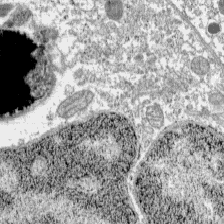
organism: C57BL Mouse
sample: Pancreatic islet